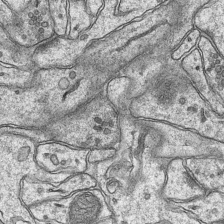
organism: Mouse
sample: CA1 Hippocampus